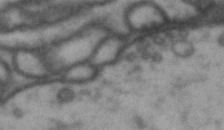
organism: Drosophila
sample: Brain